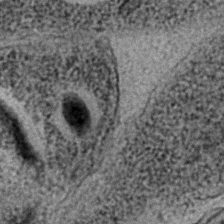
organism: C. elegans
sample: C. elegans embryo